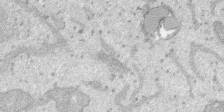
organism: Human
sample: Lung epithelial cells infected with SARS-CoV-2